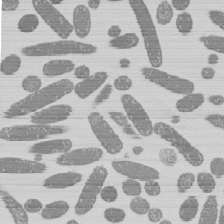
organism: E. coli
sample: Bacterial nucleoid